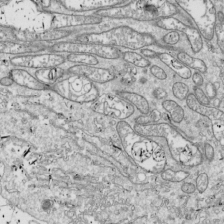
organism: Drosophila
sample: Cell division; meiosis; drosophila spermatocytes